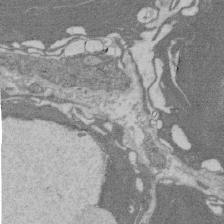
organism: Rat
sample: Salivary granule